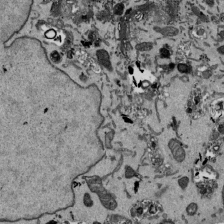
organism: Mouse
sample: ED-1 cell nuclei; centrioles